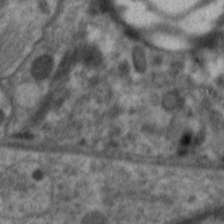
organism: C. elegans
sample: Pharynx